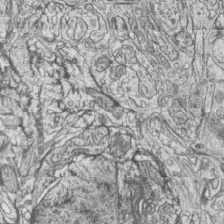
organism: Zebrafish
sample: synaptic ribbons in rod cells and cone cells